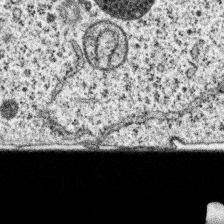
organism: Human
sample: HeLa cells